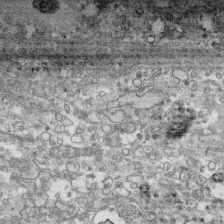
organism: Human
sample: CRL-1474